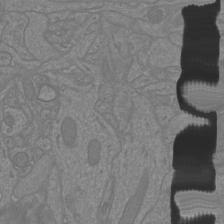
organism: Mouse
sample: Cortical neurons